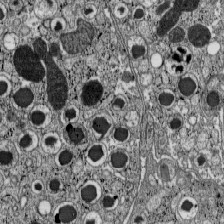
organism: C57BL Mouse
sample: Pancreatic islet